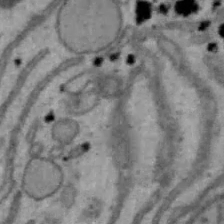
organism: Mouse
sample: Liver